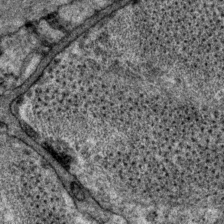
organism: P. pacificus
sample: Pharynx